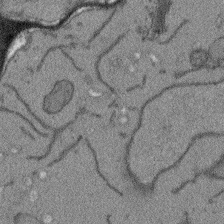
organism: Arabidopsis thaliana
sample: Root tip